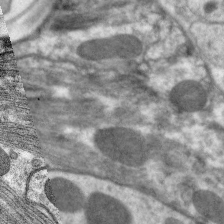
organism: C. elegans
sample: Pharynx